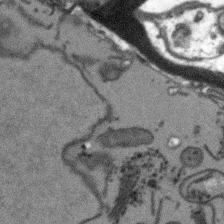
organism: Arabidopsis thaliana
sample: Root tip